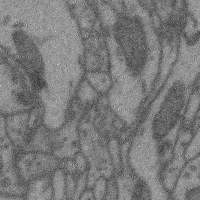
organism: Mouse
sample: Cerebral cortex